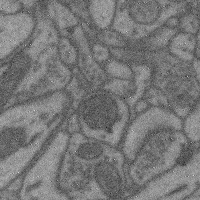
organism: Mouse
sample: Cerebral cortex